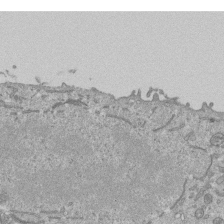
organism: Mouse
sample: ED-1 cell nuclei; centrioles